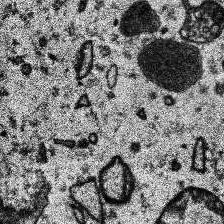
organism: Human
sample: Temporal Lobe